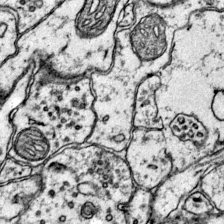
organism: Mouse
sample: Primary visual cortex